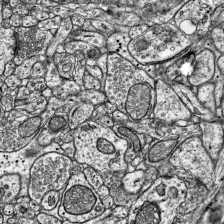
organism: Mouse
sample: Visual Cortex